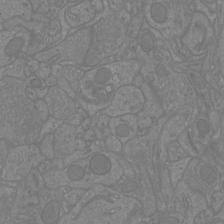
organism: Mouse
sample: Cortical neurons